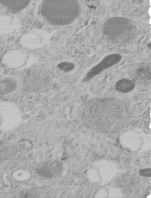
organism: C. elegans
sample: C. elegans embryo early stage